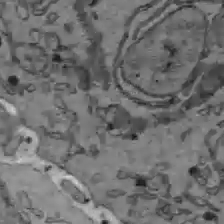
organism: C57BL Mouse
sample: Liver